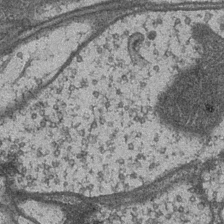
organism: Drosophila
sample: Optic medulla